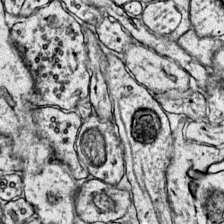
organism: Mouse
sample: Primary visual cortex